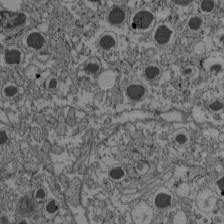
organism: C57BL Mouse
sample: Pancreatic islet